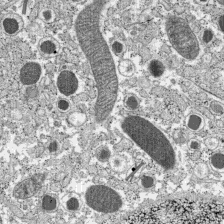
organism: C57BL Mouse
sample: Pancreatic islet